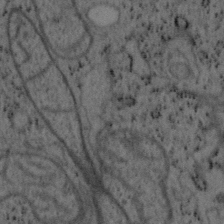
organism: Human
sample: HeLa cells